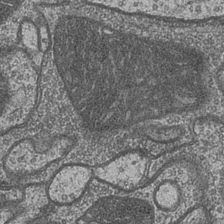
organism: Drosophila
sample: Optic medulla